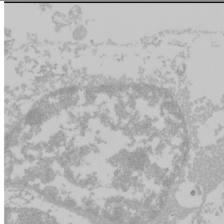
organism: Mouse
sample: Cancer cell death in ED-1 cells